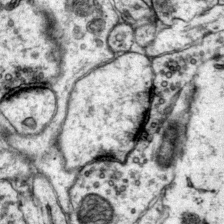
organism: Mouse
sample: Primary visual cortex